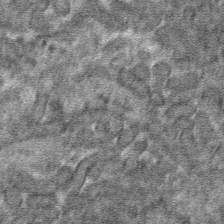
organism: Mouse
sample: Mouse hepatocytes